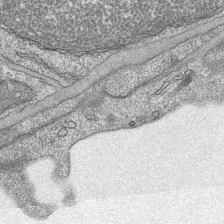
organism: Mouse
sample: CA1 Hippocampus